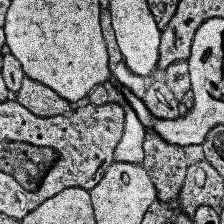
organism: Human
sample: Temporal Lobe